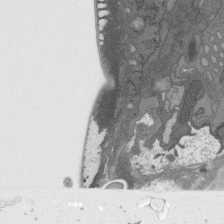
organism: C. elegans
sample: AFD neurons C. elegans